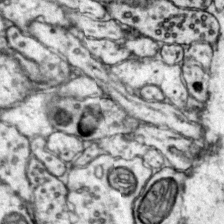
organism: Mouse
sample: Primary visual cortex